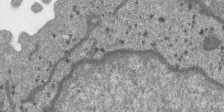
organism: Human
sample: Lung epithelial cells infected with SARS-CoV-2